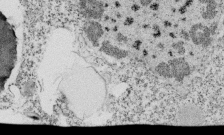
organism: Tetrahymena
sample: Cilia in tetrahymena